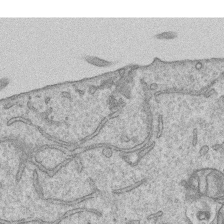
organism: Human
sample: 1205lu cells